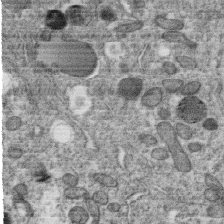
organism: C. elegans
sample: C. elegans oocyte; sperm cells